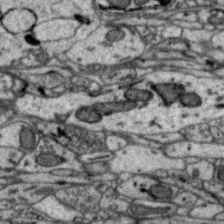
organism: Zebra finch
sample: Brain